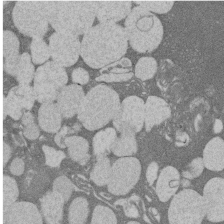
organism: Rat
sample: Salivary granule